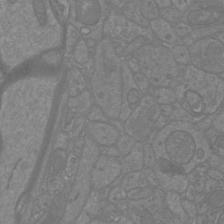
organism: Mouse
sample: Cortical neurons